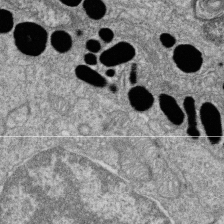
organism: Zebrafish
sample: Cilia; retinal pigment epithelium